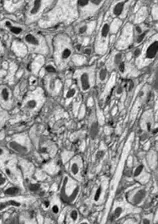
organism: Drosophila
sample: Optic lobe